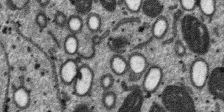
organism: Human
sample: Lung epithelial cells infected with SARS-CoV-2